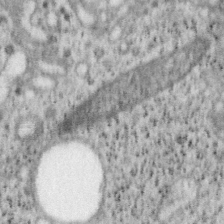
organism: Mouse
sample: OT-I killer T cells with ID8 ovarian cancer cells